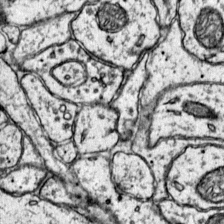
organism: Mouse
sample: Primary visual cortex